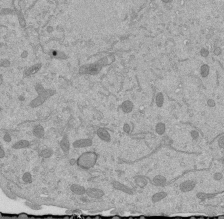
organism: Mouse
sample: ED-1 cell nuclei; centrioles